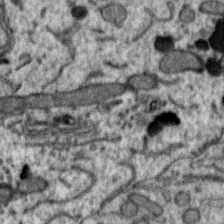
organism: Zebra finch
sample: Brain